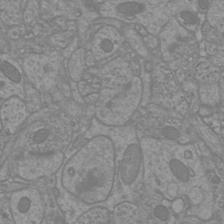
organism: Mouse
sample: Cortical neurons